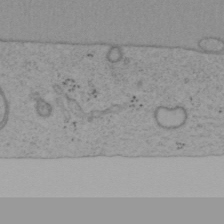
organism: Human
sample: HeLa cells